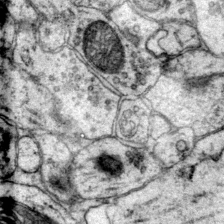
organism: Mouse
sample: Primary visual cortex